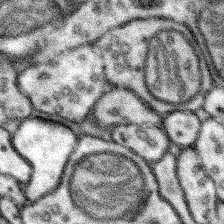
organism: Mouse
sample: Somatosensory cortex neuropil